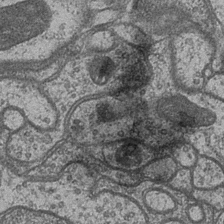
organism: Drosophila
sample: Optic medulla